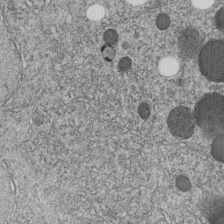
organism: C. elegans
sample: C. elegans embryo early stage